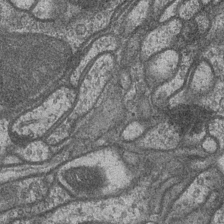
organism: Drosophila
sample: Optic medulla